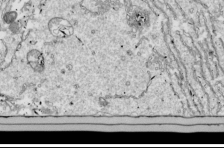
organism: Drosophila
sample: Cell division; meiosis; drosophila spermatocytes